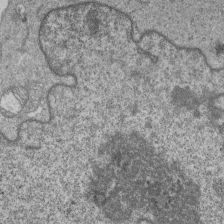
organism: Human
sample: MDA-MB-231 cells